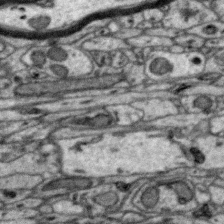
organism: Zebra finch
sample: Brain